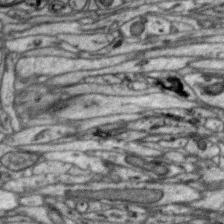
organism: Zebra finch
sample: Brain